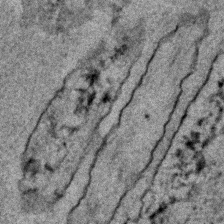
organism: C. elegans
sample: C. elegans embryo